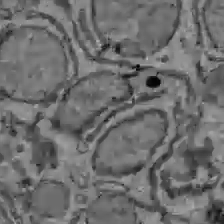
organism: C57BL Mouse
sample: Liver